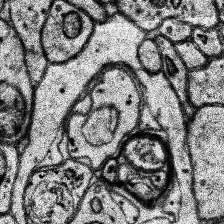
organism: Human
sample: Temporal Lobe